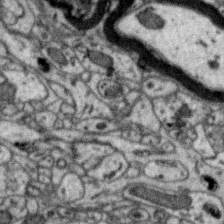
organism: Zebra finch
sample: Brain